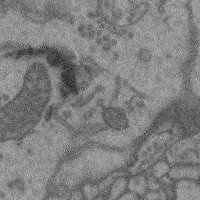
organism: Mouse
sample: Cerebral cortex